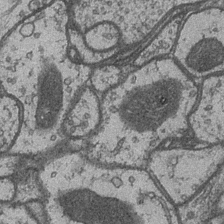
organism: Drosophila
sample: Optic medulla